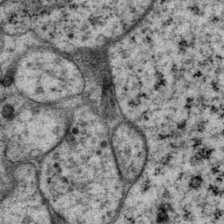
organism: P. pacificus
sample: Pharynx